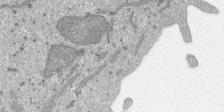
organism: Human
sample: Lung epithelial cells infected with SARS-CoV-2